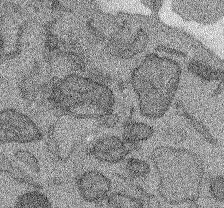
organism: Human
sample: HeLa cells